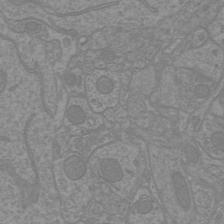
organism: Mouse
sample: Cortical neurons